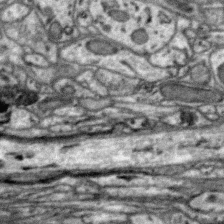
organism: Zebra finch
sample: Brain